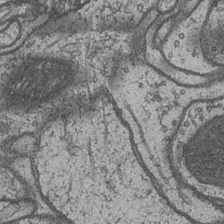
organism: Drosophila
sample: Optic medulla